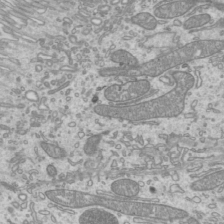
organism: Mouse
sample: Cilia; mouse epididymis